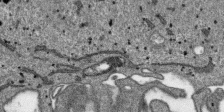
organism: Human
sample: Lung epithelial cells, uninfected (mock) control